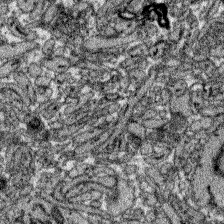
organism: Zebrafish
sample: Larval olfactory bulb